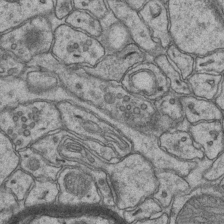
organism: Mouse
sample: CA1 Hippocampus